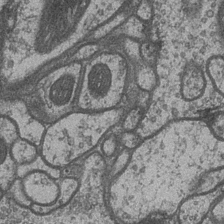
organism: Drosophila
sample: Optic medulla